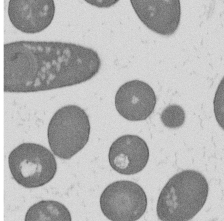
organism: B. subtilis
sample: Bacterial spore